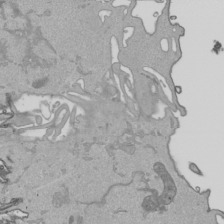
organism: Human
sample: Mitochondria in HCT116 cells